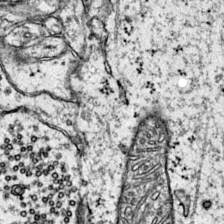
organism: Mouse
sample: Primary visual cortex